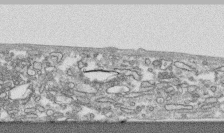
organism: Human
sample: CRL-1474